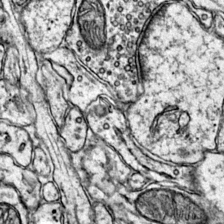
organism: Mouse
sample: Primary visual cortex